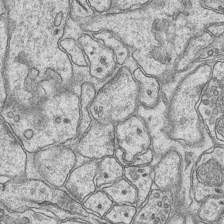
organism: Mouse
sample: CA1 Hippocampus